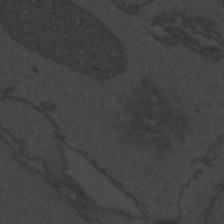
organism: Zebrafish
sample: Macrophage infected with Toxoplasma gondii